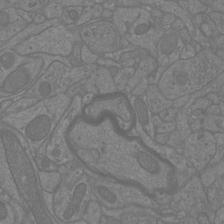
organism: Mouse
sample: Cortical neurons